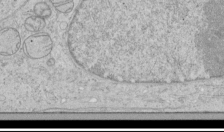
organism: Human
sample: Mitochondria in HCT116 cells